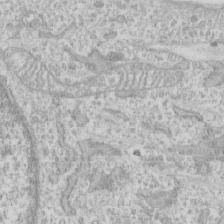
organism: Human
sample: CRL-1474